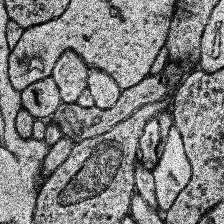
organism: Human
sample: Temporal Lobe